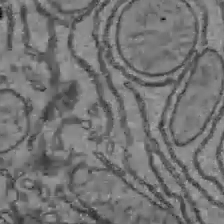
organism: C57BL Mouse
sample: Liver